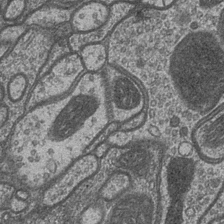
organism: Drosophila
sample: Optic medulla